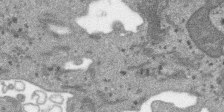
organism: Human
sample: Lung epithelial cells infected with SARS-CoV-2